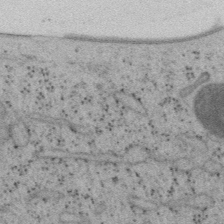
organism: Human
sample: HeLa cells